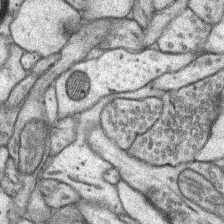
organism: Rat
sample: Hippocampus